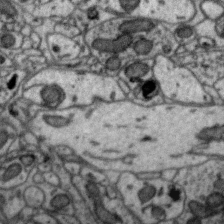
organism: Zebra finch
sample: Brain